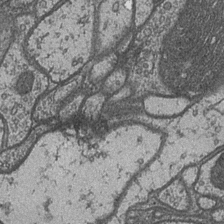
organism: Drosophila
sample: Optic medulla